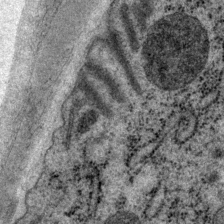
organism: P. pacificus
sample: Pharynx